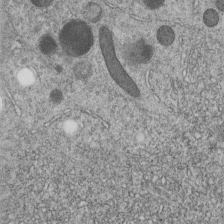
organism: C. elegans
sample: C. elegans embryo early stage